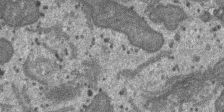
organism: Human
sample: Lung epithelial cells infected with SARS-CoV-2